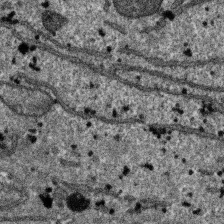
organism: Human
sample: Lung epithelial cells infected with SARS-CoV-2